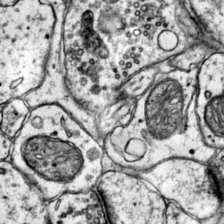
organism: Mouse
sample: Primary visual cortex